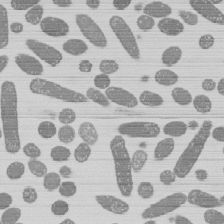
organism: E. coli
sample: Bacterial nucleoid